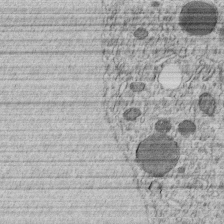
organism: C. elegans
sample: C. elegans embryo early stage